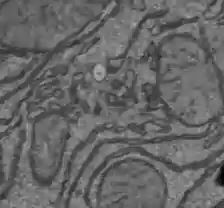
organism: C57BL Mouse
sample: Liver